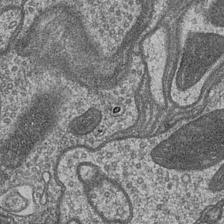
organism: Drosophila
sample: Optic medulla